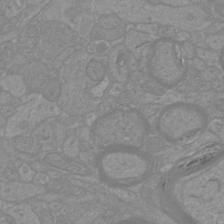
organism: Mouse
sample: Cortical neurons